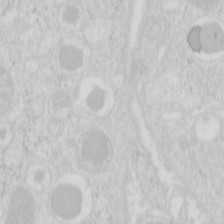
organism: Mouse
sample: Pancreas